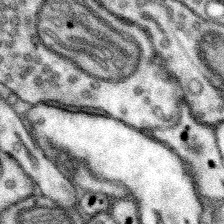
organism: Mouse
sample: Somatosensory cortex neuropil